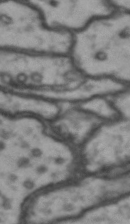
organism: Drosophila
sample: Brain